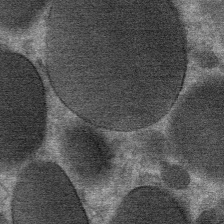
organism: Mouse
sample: Mouse Salivary gland